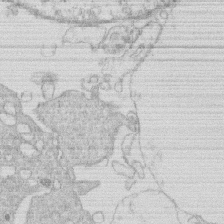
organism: Human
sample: Macrophage cells